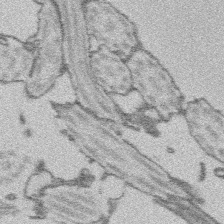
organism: Platynereis dumerilii